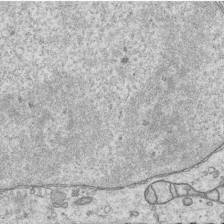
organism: Human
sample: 1205lu cells